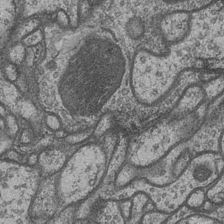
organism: Drosophila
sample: Optic medulla